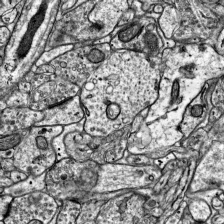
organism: Mouse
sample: Visual Cortex